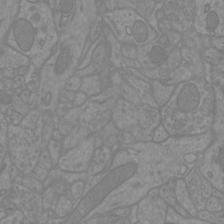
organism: Mouse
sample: Cortical neurons